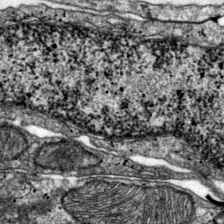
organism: Mouse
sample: Primary visual cortex